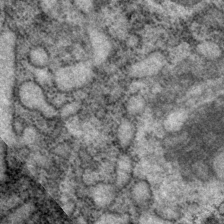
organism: P. pacificus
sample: Pharynx